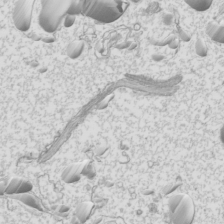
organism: Mouse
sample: Cilia; mouse epididymis